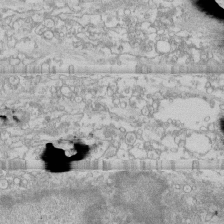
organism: Human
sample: CRL-1474